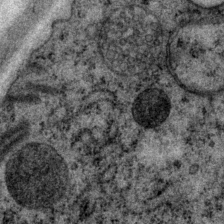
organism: P. pacificus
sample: Pharynx